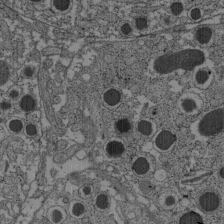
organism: C57BL Mouse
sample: Pancreatic islet